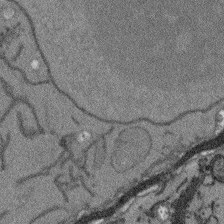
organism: Arabidopsis thaliana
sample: Root tip